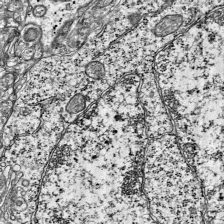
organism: Mouse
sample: Visual Cortex